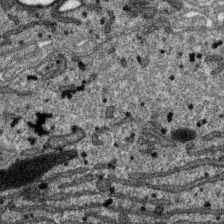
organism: Human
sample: Lung epithelial cells infected with SARS-CoV-2